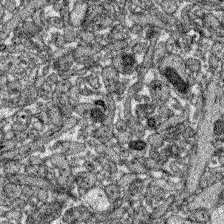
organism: Zebrafish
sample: Larval olfactory bulb